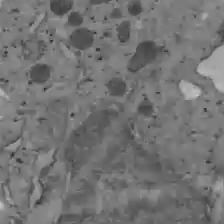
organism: C57BL Mouse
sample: Liver